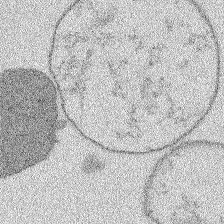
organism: Human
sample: HeLa cells